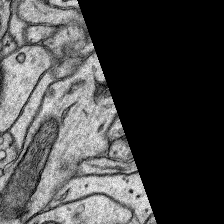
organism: Rat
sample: Hippocampus